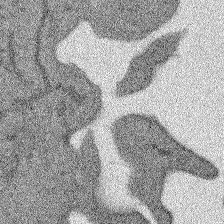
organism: Human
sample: HeLa cells